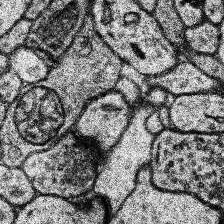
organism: Human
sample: Temporal Lobe